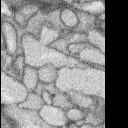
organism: Rabbit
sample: Retina